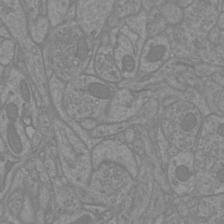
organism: Mouse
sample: Cortical neurons